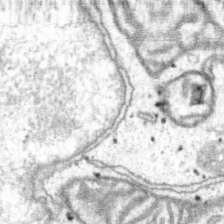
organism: Human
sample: HeLa cells